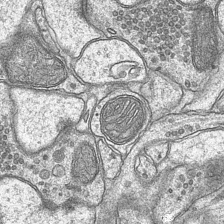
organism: Mouse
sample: CA1 Hippocampus